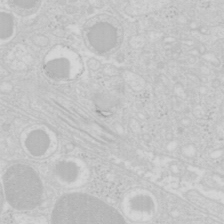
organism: Mouse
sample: Pancreas